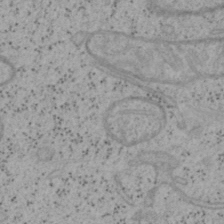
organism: Human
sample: HeLa cells